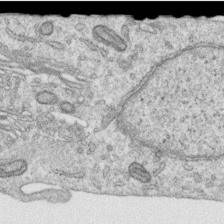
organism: Human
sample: Centriole in RPE cells